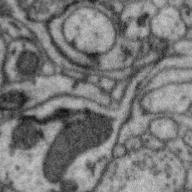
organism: Zebra finch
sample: Brain